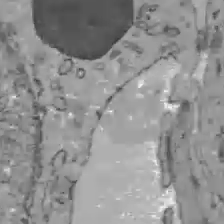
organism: C57BL Mouse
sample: Liver